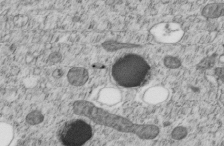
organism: C. elegans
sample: C. elegans embryo early stage